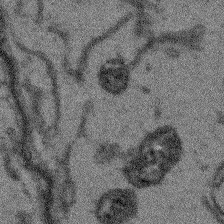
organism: Arabidopsis thaliana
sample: Root tip